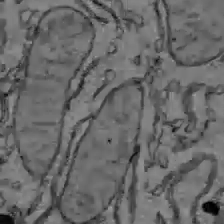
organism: C57BL Mouse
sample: Liver